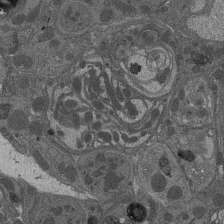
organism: Drosophila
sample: Antenna